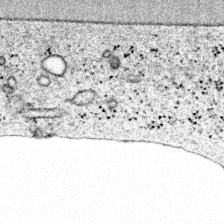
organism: Human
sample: HeLa cells